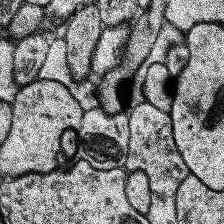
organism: Human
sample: Temporal Lobe